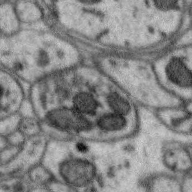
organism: Zebra finch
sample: Brain